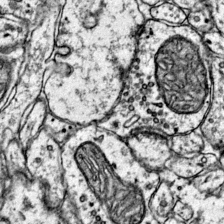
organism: Mouse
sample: Primary visual cortex